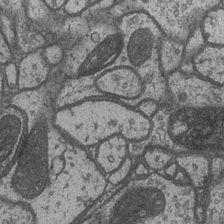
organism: Drosophila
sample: Optic medulla